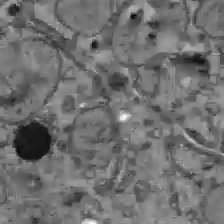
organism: C57BL Mouse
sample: Liver